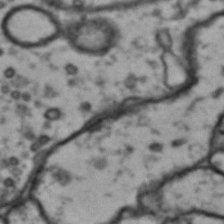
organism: Drosophila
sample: Brain